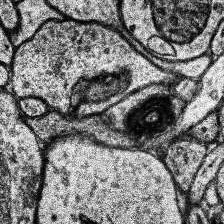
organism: Human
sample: Temporal Lobe